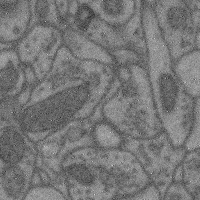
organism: Mouse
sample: Cerebral cortex